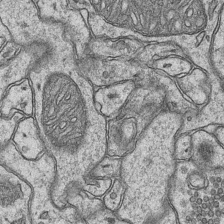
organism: Mouse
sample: CA1 Hippocampus